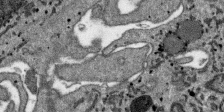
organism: Human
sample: Lung epithelial cells, uninfected (mock) control